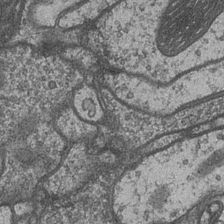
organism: Drosophila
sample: Optic medulla